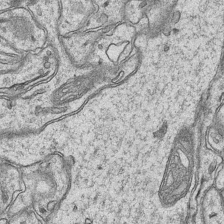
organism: Mouse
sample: CA1 Hippocampus